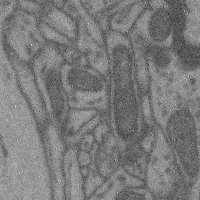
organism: Mouse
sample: Cerebral cortex